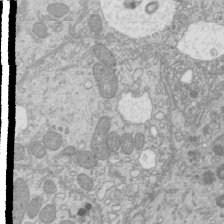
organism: Mouse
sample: Cilia; mouse epididymis